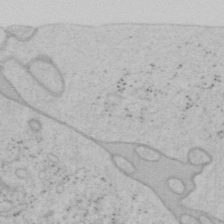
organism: Human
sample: HeLa cells